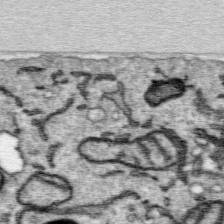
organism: Human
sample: HeLa cells